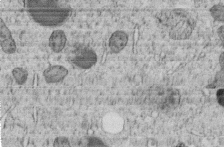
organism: C. elegans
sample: C. elegans embryo early stage